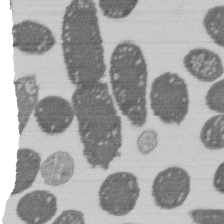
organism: E. coli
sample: Bacterial nucleoid